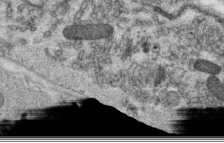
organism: C. elegans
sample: C. elegans oocyte; sperm cells